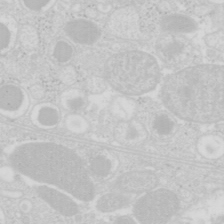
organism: Mouse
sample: Pancreas